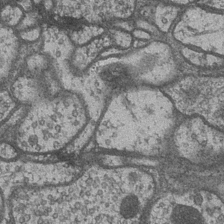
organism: Drosophila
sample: Optic medulla